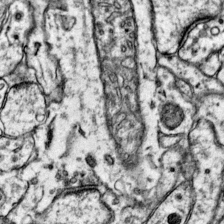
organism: Mouse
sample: Primary visual cortex